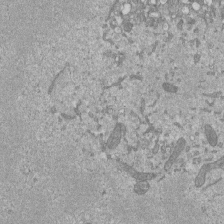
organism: Mouse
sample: ED-1 cell nuclei; centrioles